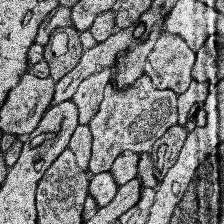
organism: Human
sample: Temporal Lobe